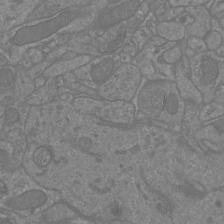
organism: Mouse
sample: Cortical neurons